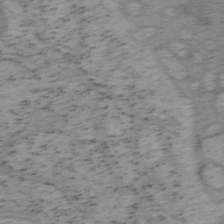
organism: Mouse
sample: OT-I killer T cells with ID8 ovarian cancer cells